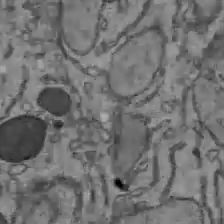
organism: C57BL Mouse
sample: Liver